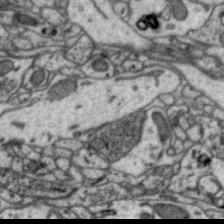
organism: Zebra finch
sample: Brain